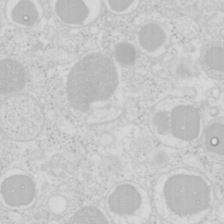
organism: Mouse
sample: Pancreas